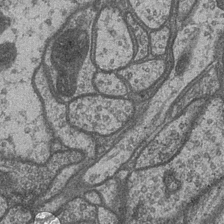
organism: Drosophila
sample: Optic medulla